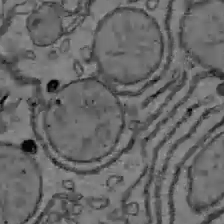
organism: C57BL Mouse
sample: Liver